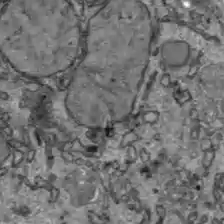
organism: C57BL Mouse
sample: Liver